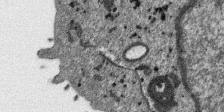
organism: Human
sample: Lung epithelial cells infected with SARS-CoV-2